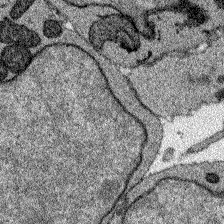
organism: Zebrafish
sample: Larval olfactory bulb